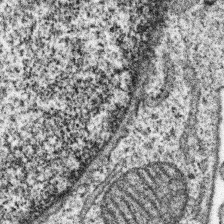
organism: Human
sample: HeLa cells